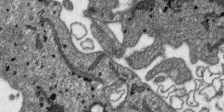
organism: Human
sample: Lung epithelial cells infected with SARS-CoV-2